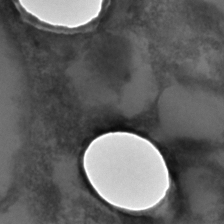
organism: C. elegans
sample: C. elegans embryo